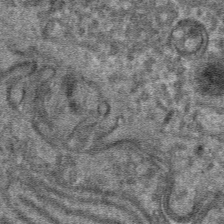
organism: Mouse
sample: Mouse hepatocytes